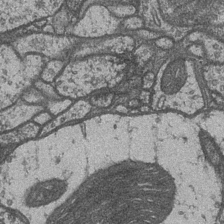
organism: Drosophila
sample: Optic medulla